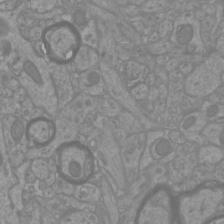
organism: Mouse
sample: Cortical neurons